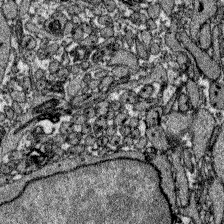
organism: Zebrafish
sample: Larval olfactory bulb